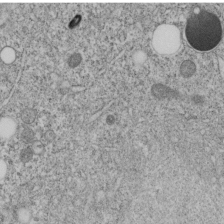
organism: C. elegans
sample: C. elegans embryo early stage